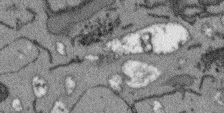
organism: Arabidopsis thaliana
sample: Root tip